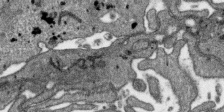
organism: Human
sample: Lung epithelial cells, uninfected (mock) control